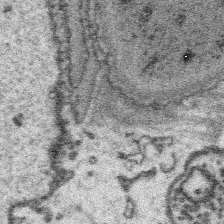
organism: Platynereis dumerilii